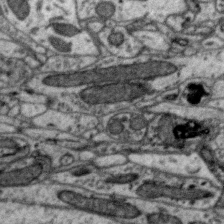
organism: Zebra finch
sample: Brain